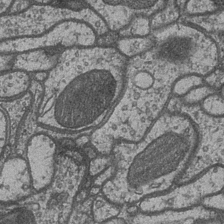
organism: Drosophila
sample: Optic medulla